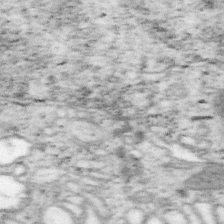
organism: Mouse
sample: OT-I killer T cells with ID8 ovarian cancer cells